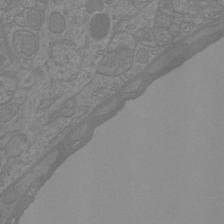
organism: Mouse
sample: Cortical neurons